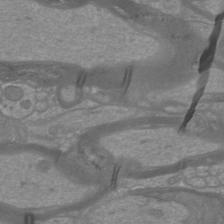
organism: Mouse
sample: Cortical neurons